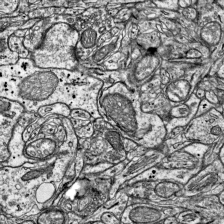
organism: Mouse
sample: Visual Cortex